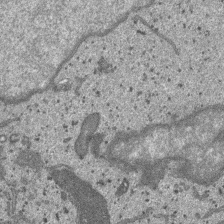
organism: Human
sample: Lung epithelial cells infected with SARS-CoV-2